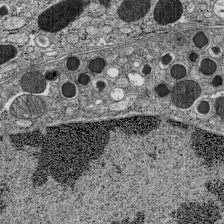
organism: C57BL Mouse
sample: Pancreatic islet